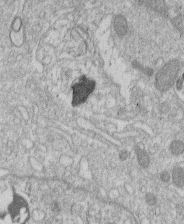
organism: Human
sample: Macrophage cells